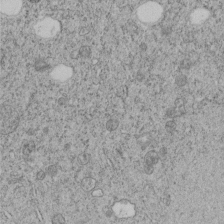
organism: C. elegans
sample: C. elegans embryo early stage